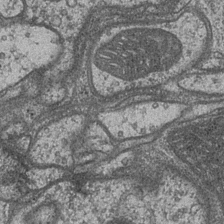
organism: Drosophila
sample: Optic medulla